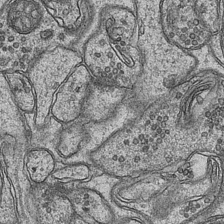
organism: Mouse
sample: CA1 Hippocampus